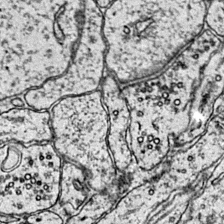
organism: Mouse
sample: Primary visual cortex